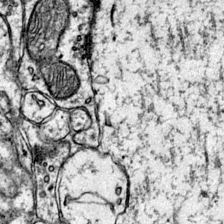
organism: Mouse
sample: Primary visual cortex